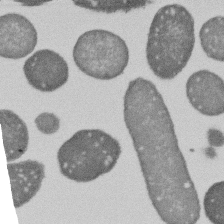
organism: E. coli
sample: Bacterial nucleoid